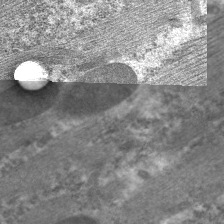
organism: C. elegans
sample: Pharynx